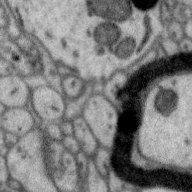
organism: Zebra finch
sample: Brain